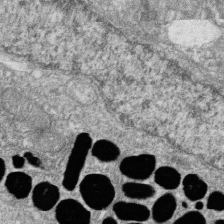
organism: Zebrafish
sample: Cilia; retinal pigment epithelium